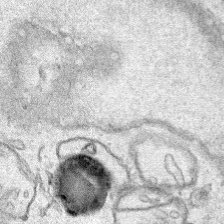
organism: Human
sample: Mitochondria in HCT116 cells